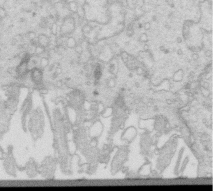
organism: Mouse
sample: Multiciliated cells